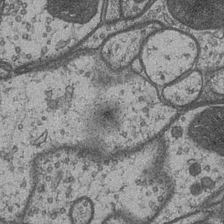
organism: Drosophila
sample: Optic medulla